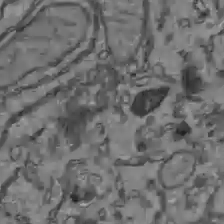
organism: C57BL Mouse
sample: Liver